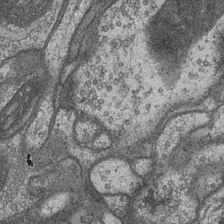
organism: Drosophila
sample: Optic medulla